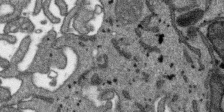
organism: Human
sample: Lung epithelial cells, uninfected (mock) control